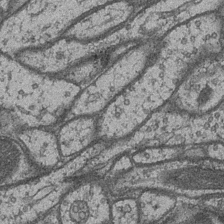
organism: Drosophila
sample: Optic medulla